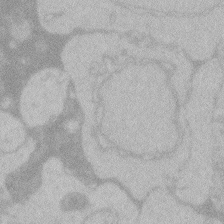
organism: Zebrafish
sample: Macrophage infected with Toxoplasma gondii